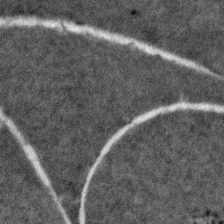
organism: Zebrafish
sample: Zebrafish embryo